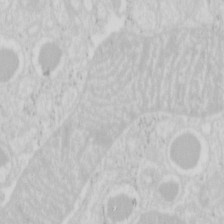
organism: Mouse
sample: Pancreas